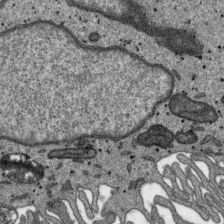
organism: Human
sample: Lung epithelial cells, uninfected (mock) control